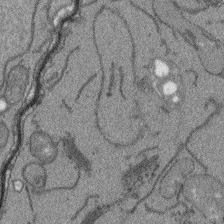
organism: Arabidopsis thaliana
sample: Root tip